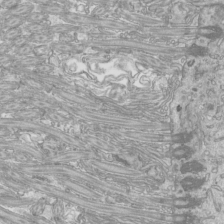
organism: Mouse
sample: Cilia; mouse epididymis